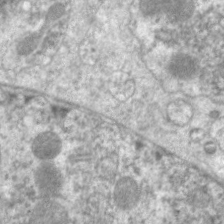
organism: C. elegans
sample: Pharynx